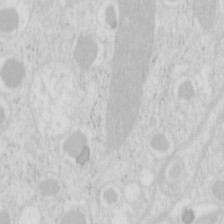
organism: Mouse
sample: Pancreas